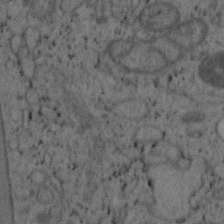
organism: Human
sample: HeLa cells